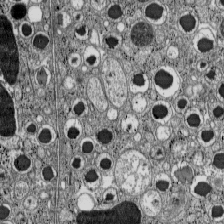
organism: C57BL Mouse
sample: Pancreatic islet